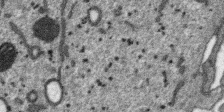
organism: Human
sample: Lung epithelial cells infected with SARS-CoV-2